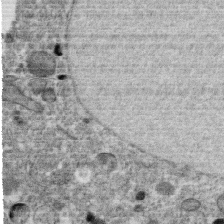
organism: C. elegans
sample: C. elegans oocyte; sperm cells